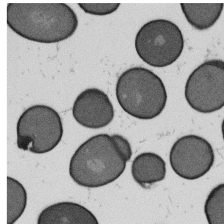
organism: B. subtilis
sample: Bacterial spore